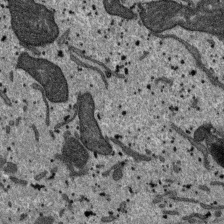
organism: Human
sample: Lung epithelial cells, uninfected (mock) control